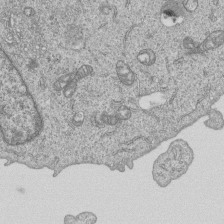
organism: Human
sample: MDA-MB-231 cells